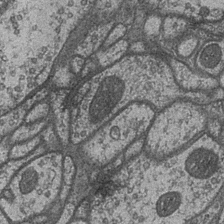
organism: Drosophila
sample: Optic medulla